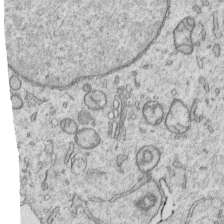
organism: Human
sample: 1205lu cells